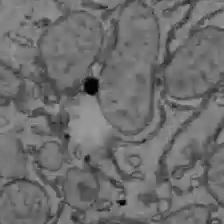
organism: C57BL Mouse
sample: Liver